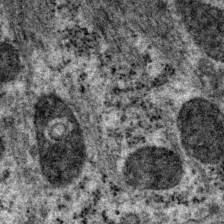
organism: P. pacificus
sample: Pharynx